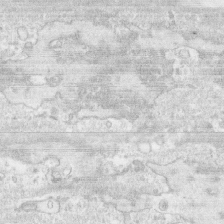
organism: Human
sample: CRL-1474